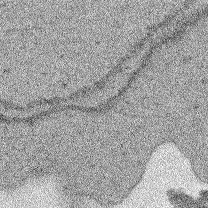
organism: Human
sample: HeLa cells